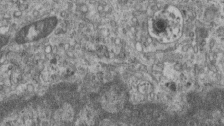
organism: Mouse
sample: Centriole in ependymal cells